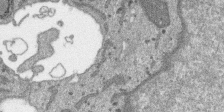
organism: Human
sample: Lung epithelial cells infected with SARS-CoV-2